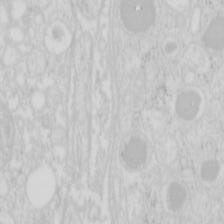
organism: Mouse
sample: Pancreas